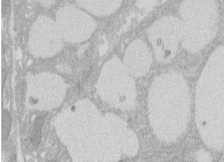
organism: Rat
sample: Salivary granule